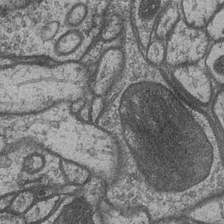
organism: Drosophila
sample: Optic medulla